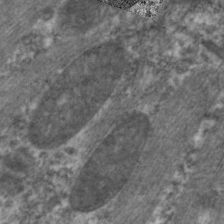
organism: C. elegans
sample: Pharynx